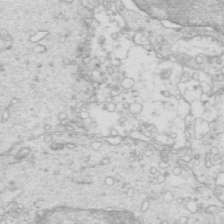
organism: Mouse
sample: Multiciliated cells